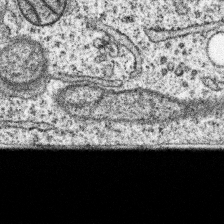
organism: Human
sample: HeLa cells